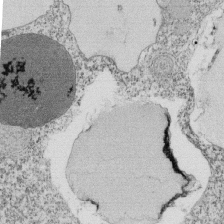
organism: Tetrahymena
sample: Cilia in tetrahymena